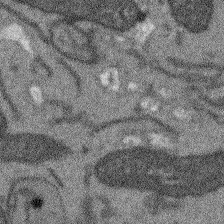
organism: Arabidopsis thaliana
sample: Root tip